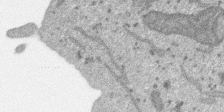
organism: Human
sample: Lung epithelial cells infected with SARS-CoV-2